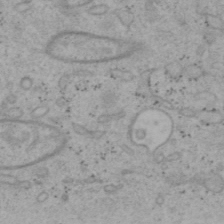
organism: Human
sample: HeLa cells